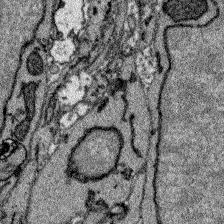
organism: Zebrafish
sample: Larval olfactory bulb